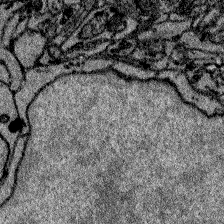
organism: Zebrafish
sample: Larval olfactory bulb